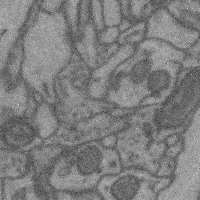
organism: Mouse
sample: Cerebral cortex